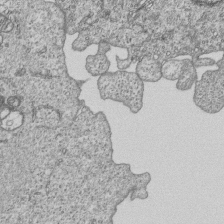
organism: Human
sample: MDA-MB-231 cells